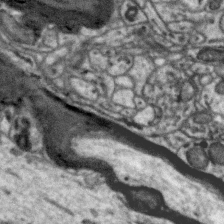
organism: Zebra finch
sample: Brain